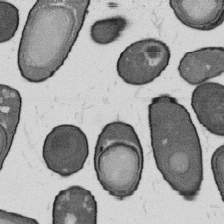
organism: B. subtilis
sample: Bacterial spore